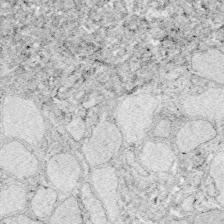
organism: Zebrafish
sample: Whole-Brain